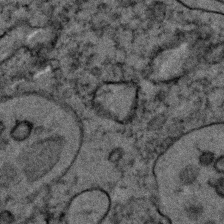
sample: Trachea